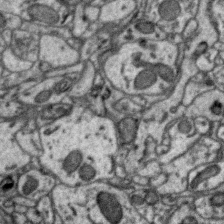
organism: Zebra finch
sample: Brain